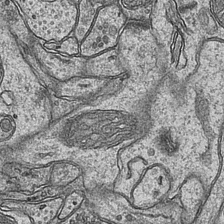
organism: Mouse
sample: CA1 Hippocampus